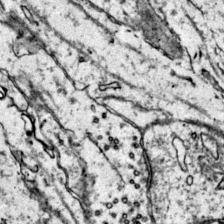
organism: Mouse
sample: Primary visual cortex